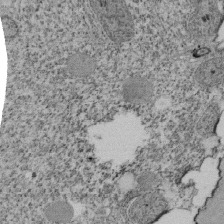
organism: Tetrahymena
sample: Cilia in tetrahymena